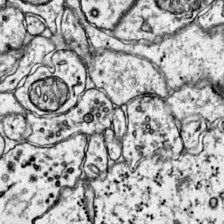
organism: Mouse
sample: Primary visual cortex